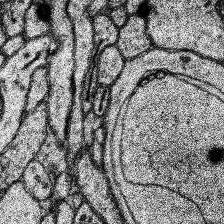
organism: Human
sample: Temporal Lobe